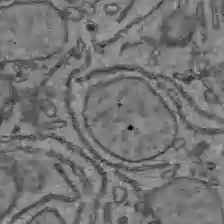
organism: C57BL Mouse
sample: Liver